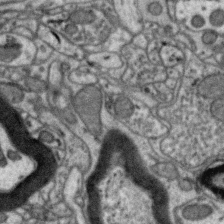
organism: Zebra finch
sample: Brain